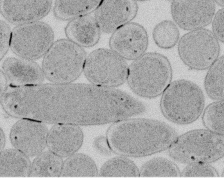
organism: E. coli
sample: Bacterial nucleoid